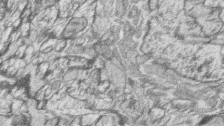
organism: Zebrafish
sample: synaptic ribbons in rod cells and cone cells